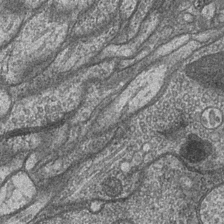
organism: Drosophila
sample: Optic medulla